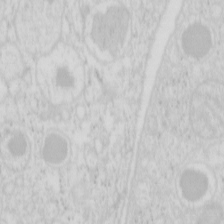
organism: Mouse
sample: Pancreas